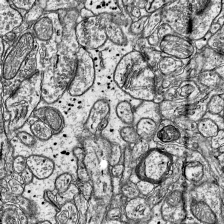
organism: Mouse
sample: Visual Cortex